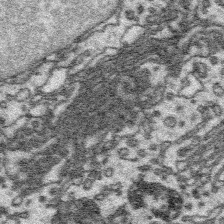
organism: Platynereis dumerilii